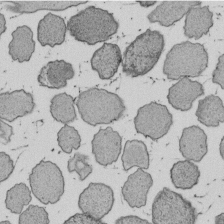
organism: E. coli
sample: Bacterial nucleoid